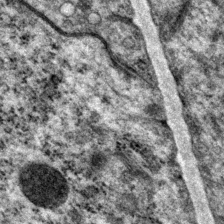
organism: P. pacificus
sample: Pharynx